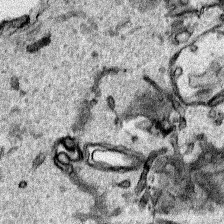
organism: Human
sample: Mitochondria in HCT116 cells